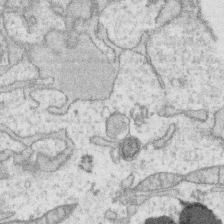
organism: Human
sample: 1205lu cells